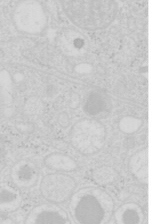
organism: Mouse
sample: Pancreas